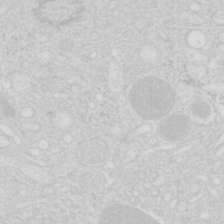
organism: Mouse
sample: Pancreas